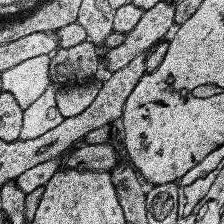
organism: Human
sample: Temporal Lobe